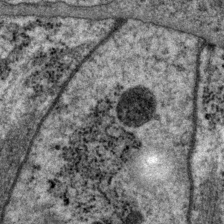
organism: P. pacificus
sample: Pharynx